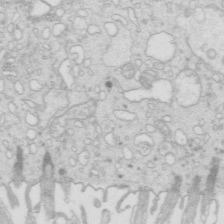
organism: Mouse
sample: Multiciliated cells